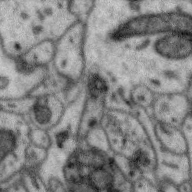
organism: Zebra finch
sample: Brain